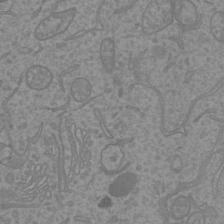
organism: Mouse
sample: Cortical neurons